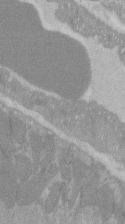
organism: C57BL Mouse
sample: Tibialis anterior muscle cell